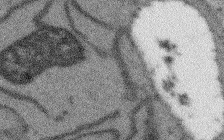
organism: Arabidopsis thaliana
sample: Root tip